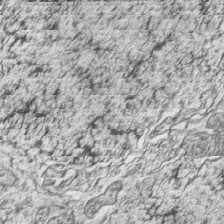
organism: Zebrafish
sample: synaptic ribbons in rod cells and cone cells